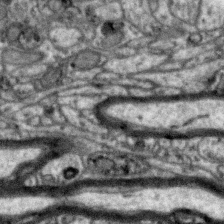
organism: Zebra finch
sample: Brain